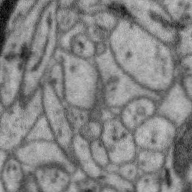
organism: Zebra finch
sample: Brain